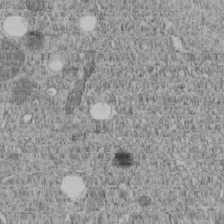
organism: C. elegans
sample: C. elegans embryo early stage